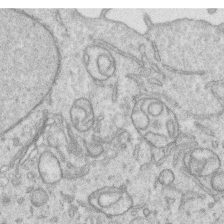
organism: Human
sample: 1205lu cells